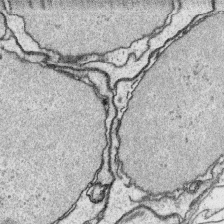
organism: Platynereis dumerilii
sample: Parapodia